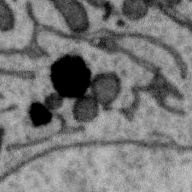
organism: Zebra finch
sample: Brain